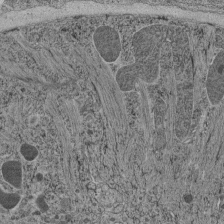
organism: C. elegans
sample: C. elegans pharynx